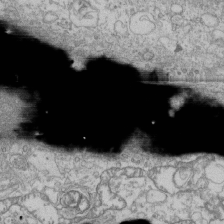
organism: Human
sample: Fibroblast cells